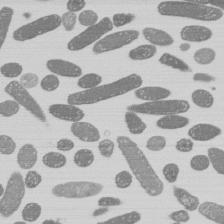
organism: E. coli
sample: Bacterial nucleoid